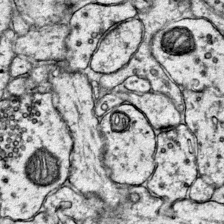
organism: Mouse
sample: Primary visual cortex